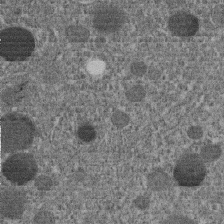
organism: C. elegans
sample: C. elegans embryo early stage